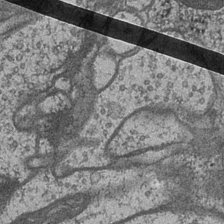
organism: Drosophila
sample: Optic medulla